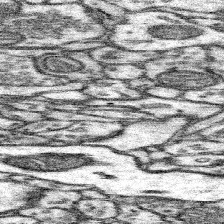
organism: Mouse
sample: Somatosensory cortex neuropil